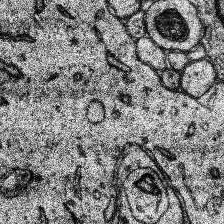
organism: Human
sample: Temporal Lobe